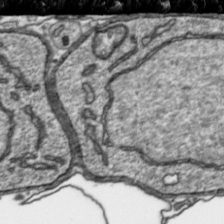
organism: Toxoplasma gondii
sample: Parasites in a vacuole inside a host cell